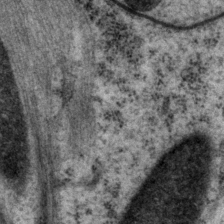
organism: P. pacificus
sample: Pharynx